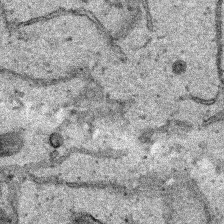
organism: Human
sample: Mitochondria in HCT116 cells